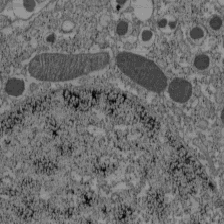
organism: C57BL Mouse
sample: Pancreatic islet